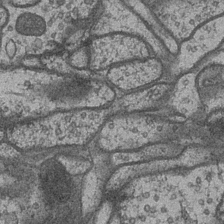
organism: Drosophila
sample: Optic medulla